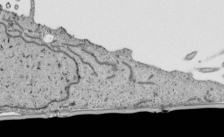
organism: Human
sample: Mitochondria in HCT116 cells